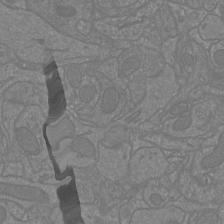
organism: Mouse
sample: Cortical neurons